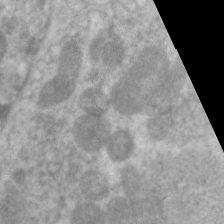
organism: C. elegans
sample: Pharynx